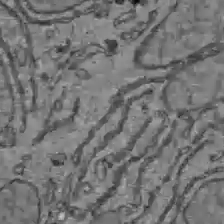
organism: C57BL Mouse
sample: Liver